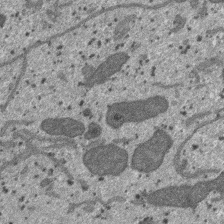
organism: Human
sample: Lung epithelial cells infected with SARS-CoV-2